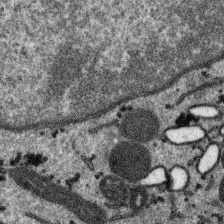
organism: Human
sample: Lung epithelial cells infected with SARS-CoV-2